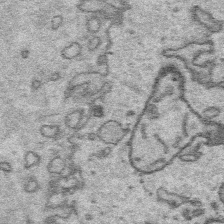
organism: Platynereis dumerilii